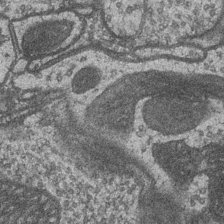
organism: Drosophila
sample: Optic medulla